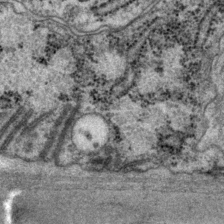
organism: P. pacificus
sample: Pharynx